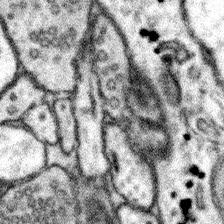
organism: Mouse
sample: Somatosensory cortex neuropil